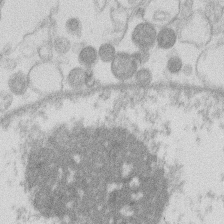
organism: Human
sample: Macrophage cells